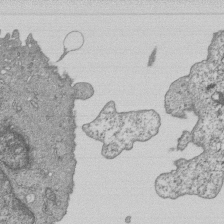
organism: Human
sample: MDA-MB-231 cells